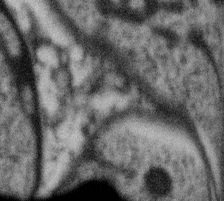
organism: Gemmata obscuriglobus